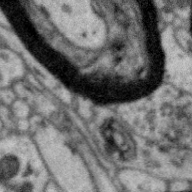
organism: Zebra finch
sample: Brain